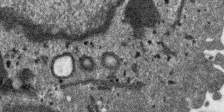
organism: Human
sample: Lung epithelial cells infected with SARS-CoV-2